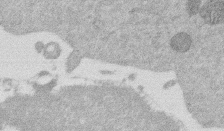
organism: Mouse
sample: Dividing mouse embryo 1 cell stage